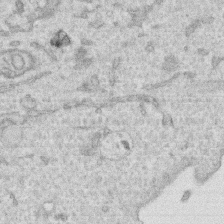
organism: Human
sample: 1205lu cells